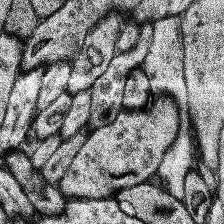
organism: Human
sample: Temporal Lobe